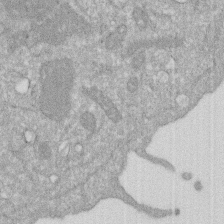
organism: Human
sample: HIV infected U937 cells